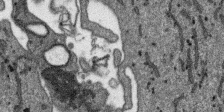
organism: Human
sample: Lung epithelial cells infected with SARS-CoV-2